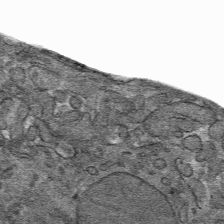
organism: Mouse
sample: Mouse hepatocytes